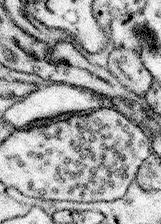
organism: Mouse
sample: Somatosensory cortex neuropil